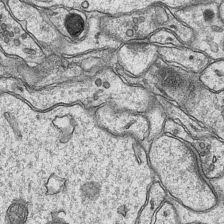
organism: Mouse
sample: CA1 Hippocampus